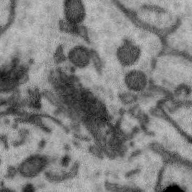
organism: Zebra finch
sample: Brain